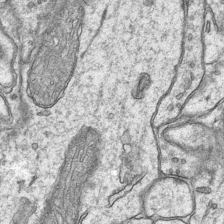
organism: Mouse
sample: CA1 Hippocampus